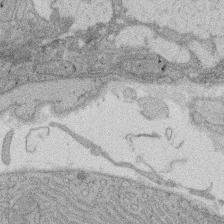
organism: Rat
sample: Salivary granule